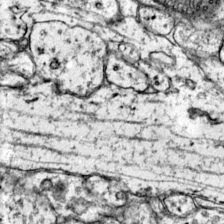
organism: Mouse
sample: Primary visual cortex